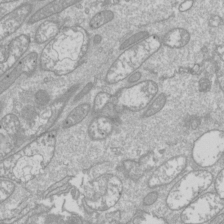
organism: Drosophila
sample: Cell division; meiosis; drosophila spermatocytes